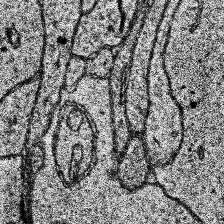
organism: Human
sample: Temporal Lobe